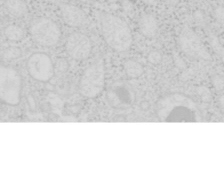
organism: Mouse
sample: Pancreas